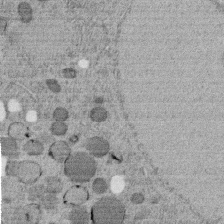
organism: C. elegans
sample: C. elegans embryo early stage